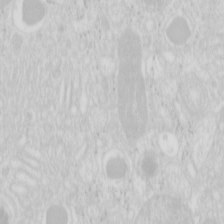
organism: Mouse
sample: Pancreas